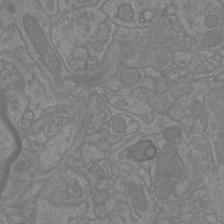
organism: Mouse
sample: Cortical neurons